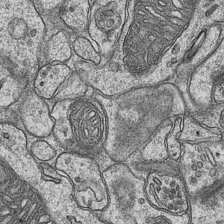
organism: Mouse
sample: CA1 Hippocampus